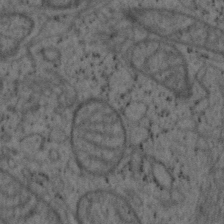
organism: Human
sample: HeLa cells